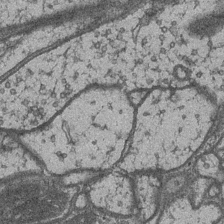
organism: Drosophila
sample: Optic medulla